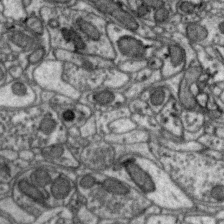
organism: Zebra finch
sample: Brain